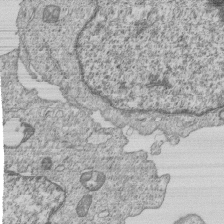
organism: Human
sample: MDA-MB-231 cells